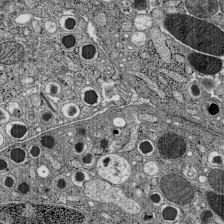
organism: C57BL Mouse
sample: Pancreatic islet